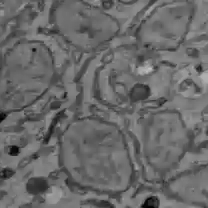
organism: C57BL Mouse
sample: Liver